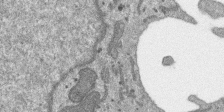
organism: Human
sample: Lung epithelial cells infected with SARS-CoV-2